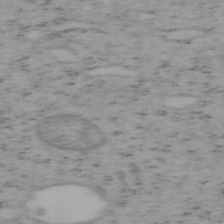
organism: Mouse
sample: OT-I killer T cells with ID8 ovarian cancer cells